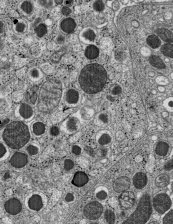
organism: C57BL Mouse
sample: Pancreatic islet